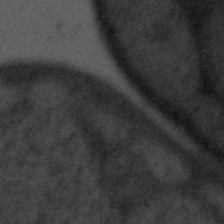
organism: Tuwongella immobilis